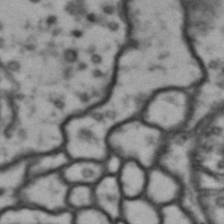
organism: Drosophila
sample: Brain